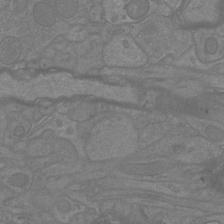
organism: Mouse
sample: Cortical neurons